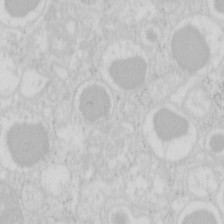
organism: Mouse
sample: Pancreas